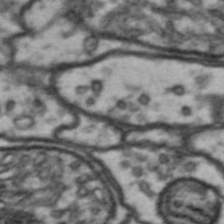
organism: Drosophila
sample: Brain